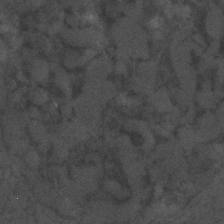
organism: C. elegans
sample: C. elegans embryo